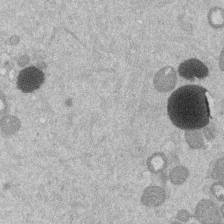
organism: Mouse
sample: Dividing mouse embryo 1 cell stage